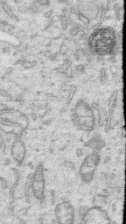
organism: Human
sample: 1205lu cells